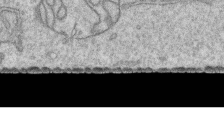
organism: Human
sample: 1205lu cells